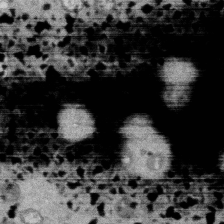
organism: Mouse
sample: Dividing mouse embryo 1 cell stage